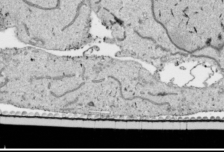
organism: Human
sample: Mitochondria in HCT116 cells